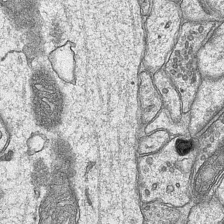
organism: Mouse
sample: CA1 Hippocampus